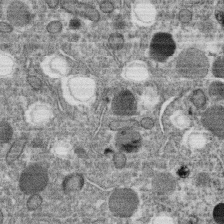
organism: C. elegans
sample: C. elegans oocyte; sperm cells